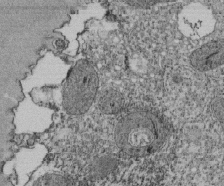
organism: Tetrahymena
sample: Cilia in tetrahymena